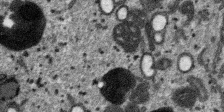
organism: Human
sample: Lung epithelial cells infected with SARS-CoV-2